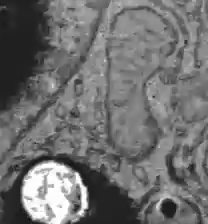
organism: C57BL Mouse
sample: Liver